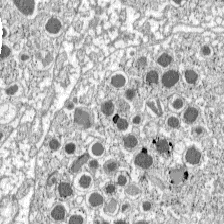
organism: C57BL Mouse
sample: Pancreatic islet